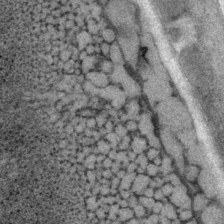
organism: P. pacificus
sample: Pharynx